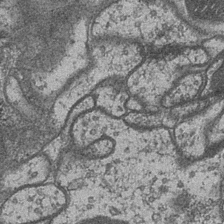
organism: Drosophila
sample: Optic medulla